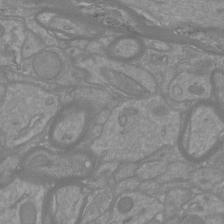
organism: Mouse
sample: Cortical neurons